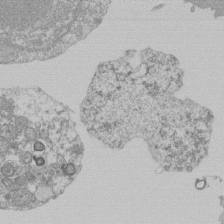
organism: Mouse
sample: Activated Pmel transgenic CD8+ T Cells